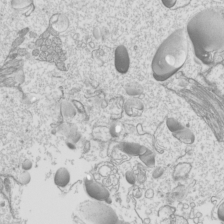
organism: Mouse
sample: Cilia; mouse epididymis